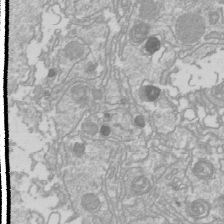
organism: Drosophila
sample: Cell division; meiosis; drosophila spermatocytes